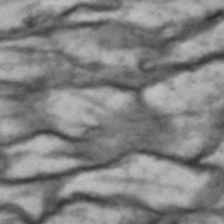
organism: Drosophila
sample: Brain